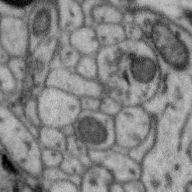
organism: Zebra finch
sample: Brain